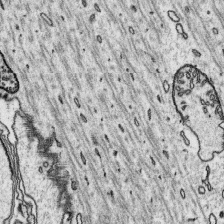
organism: Platynereis dumerilii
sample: Parapodia